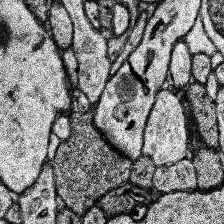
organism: Human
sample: Temporal Lobe